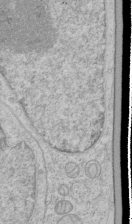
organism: Human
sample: Mitochondria in HCT116 cells